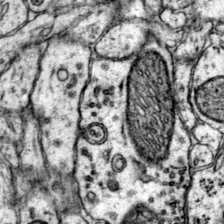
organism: Mouse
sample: Primary visual cortex